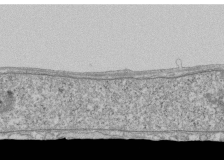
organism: Human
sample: Fibroblast cells